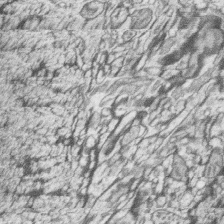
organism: Zebrafish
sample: synaptic ribbons in rod cells and cone cells